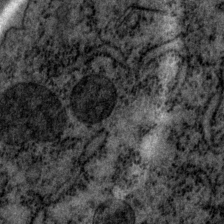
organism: P. pacificus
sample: Pharynx